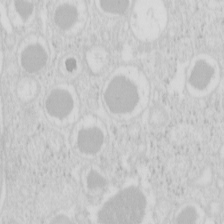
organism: Mouse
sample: Pancreas